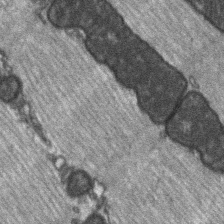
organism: C57BL Mouse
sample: Soleus